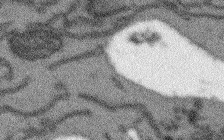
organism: Arabidopsis thaliana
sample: Root tip